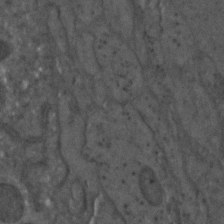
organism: C. elegans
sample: C. elegans embryo